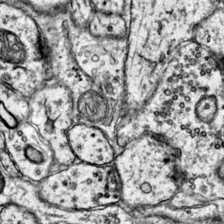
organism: Mouse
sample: Primary visual cortex